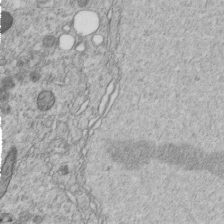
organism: C. elegans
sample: C. elegans embryo early stage